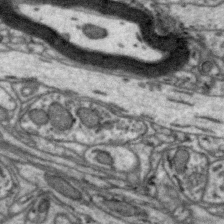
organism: Zebra finch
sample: Brain